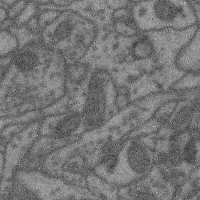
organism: Mouse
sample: Cerebral cortex